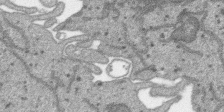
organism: Human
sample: Lung epithelial cells infected with SARS-CoV-2